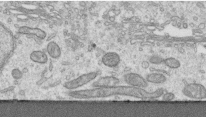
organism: Human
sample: Centriole in RPE cells